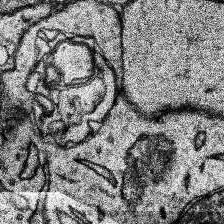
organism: Human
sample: Temporal Lobe